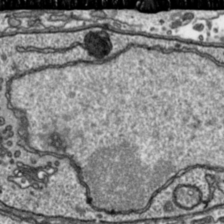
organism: Toxoplasma gondii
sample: Parasites in a vacuole inside a host cell